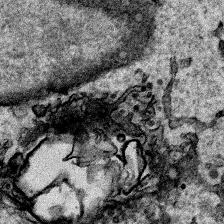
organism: Human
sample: Mitochondria in HCT116 cells